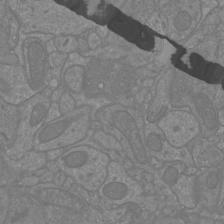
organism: Mouse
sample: Cortical neurons